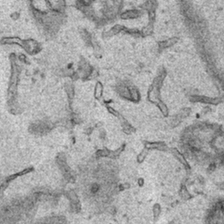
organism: Human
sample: Mitochondria in HCT116 cells